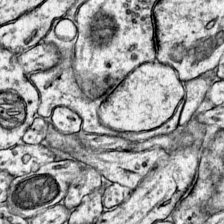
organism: Mouse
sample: Primary visual cortex